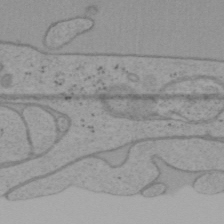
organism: Human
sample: HeLa cells